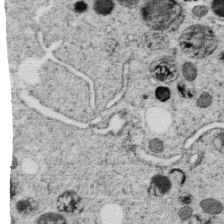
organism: C. elegans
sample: C. elegans oocyte; sperm cells